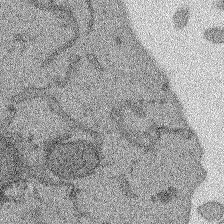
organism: Human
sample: HeLa cells